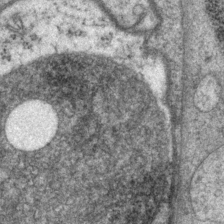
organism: P. pacificus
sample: Pharynx